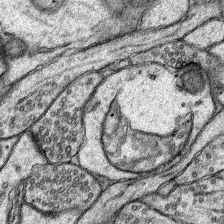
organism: Rat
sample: Hippocampus